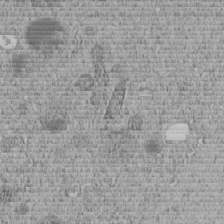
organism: C. elegans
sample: C. elegans embryo early stage